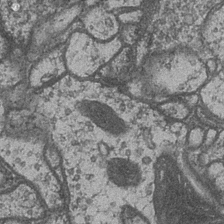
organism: Drosophila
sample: Optic medulla